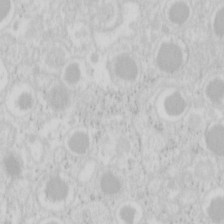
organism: Mouse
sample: Pancreas